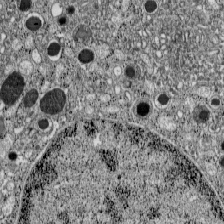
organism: C57BL Mouse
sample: Pancreatic islet